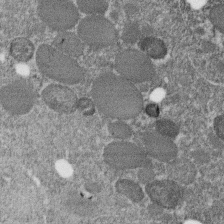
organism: C. elegans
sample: C. elegans embryo early stage